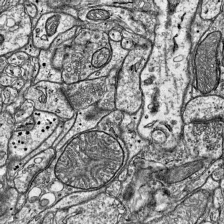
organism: Mouse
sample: Visual Cortex